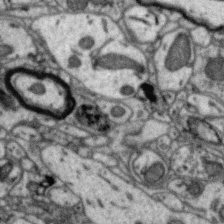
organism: Zebra finch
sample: Brain